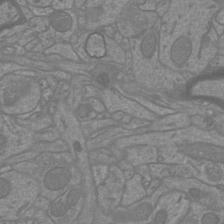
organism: Mouse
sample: Cortical neurons